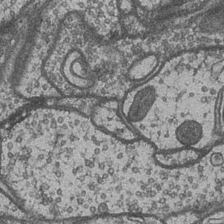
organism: Drosophila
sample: Optic medulla